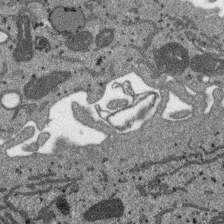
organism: Human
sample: Lung epithelial cells infected with SARS-CoV-2